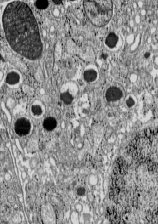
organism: C57BL Mouse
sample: Pancreatic islet